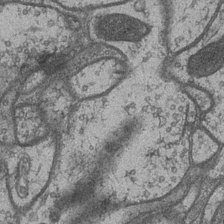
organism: Drosophila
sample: Optic medulla